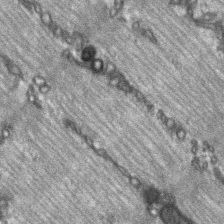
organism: C57BL Mouse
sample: Soleus